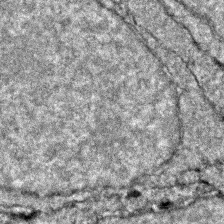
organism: Zebrafish